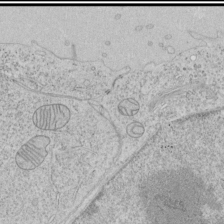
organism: Human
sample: Mitochondria in HCT116 cells